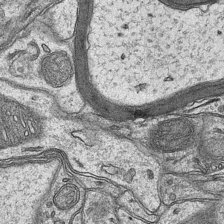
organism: Mouse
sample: CA1 Hippocampus